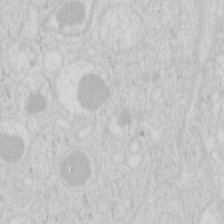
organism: Mouse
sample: Pancreas